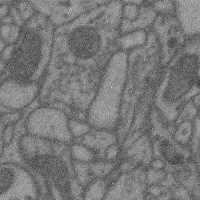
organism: Mouse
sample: Cerebral cortex